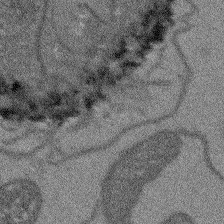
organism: Arabidopsis thaliana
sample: Root tip